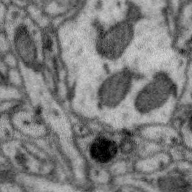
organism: Zebra finch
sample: Brain